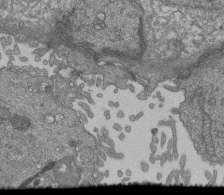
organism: Human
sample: Retinal organoid Rod and Cone cells